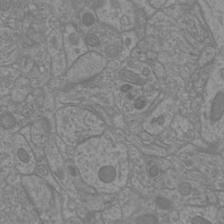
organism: Mouse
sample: Cortical neurons